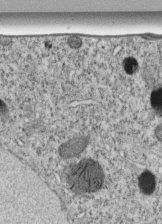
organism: C. elegans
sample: C. elegans embryo early stage